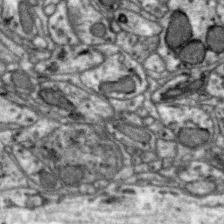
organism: Zebra finch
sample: Brain